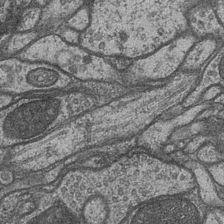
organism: Drosophila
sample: Optic medulla